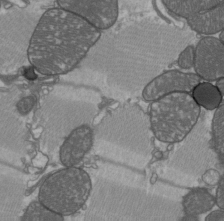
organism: C57BL Mouse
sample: Heart